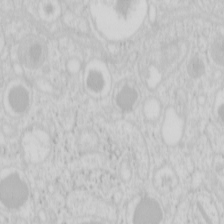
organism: Mouse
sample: Pancreas